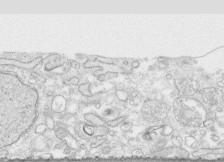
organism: Human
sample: CRL-1474